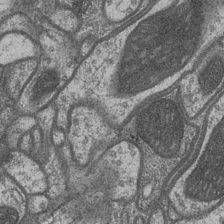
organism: Drosophila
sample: Optic medulla